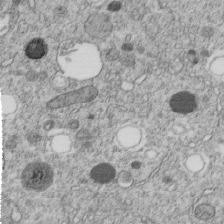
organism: C. elegans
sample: C. elegans embryo early stage